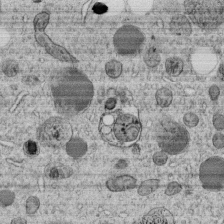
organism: C. elegans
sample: C. elegans embryo early stage